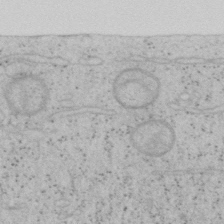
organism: Human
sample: HeLa cells